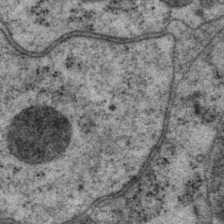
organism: P. pacificus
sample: Pharynx